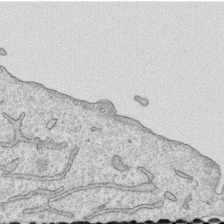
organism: Human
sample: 1205lu cells